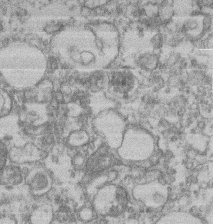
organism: Mouse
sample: T cell stromal cell synapse